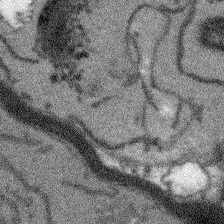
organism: Arabidopsis thaliana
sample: Root tip